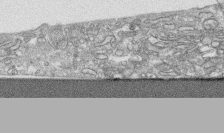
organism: Human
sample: CRL-1474